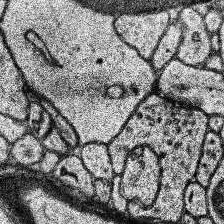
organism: Human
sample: Temporal Lobe